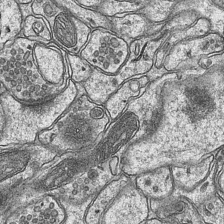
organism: Mouse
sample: CA1 Hippocampus